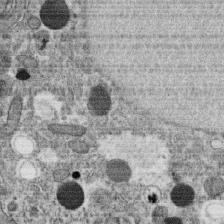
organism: C. elegans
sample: C. elegans oocyte; sperm cells